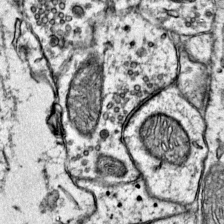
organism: Mouse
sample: Primary visual cortex